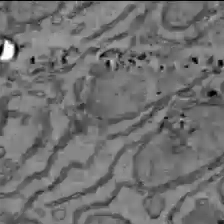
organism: C57BL Mouse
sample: Liver